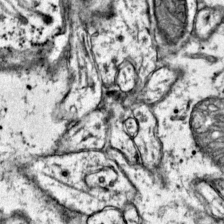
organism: Mouse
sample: Primary visual cortex